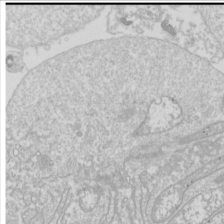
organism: Drosophila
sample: Cell division; meiosis; drosophila spermatocytes